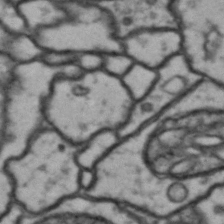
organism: Drosophila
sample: Brain